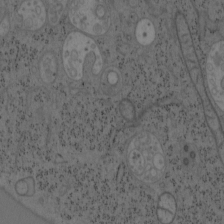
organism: Mouse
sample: OT-I killer T cells with ID8 ovarian cancer cells